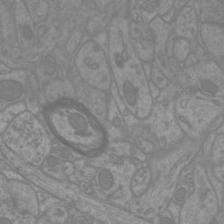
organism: Mouse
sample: Cortical neurons